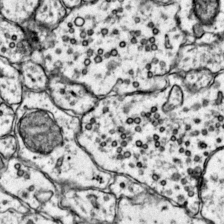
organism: Mouse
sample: Primary visual cortex